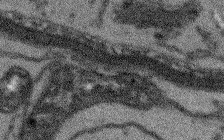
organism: Arabidopsis thaliana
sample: Root tip